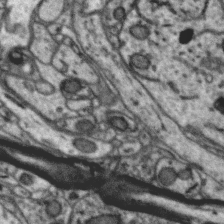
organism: Zebra finch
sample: Brain